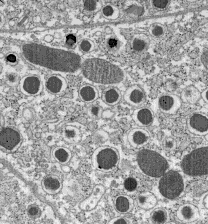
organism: C57BL Mouse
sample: Pancreatic islet